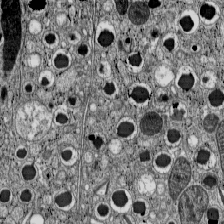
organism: C57BL Mouse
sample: Pancreatic islet